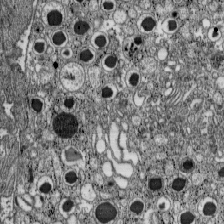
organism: C57BL Mouse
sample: Pancreatic islet